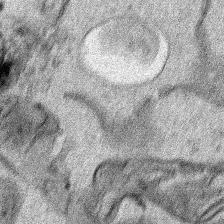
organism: Human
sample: Mitochondria in HCT116 cells